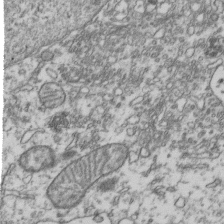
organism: Human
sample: Activated Jurkat CD4+ T cells